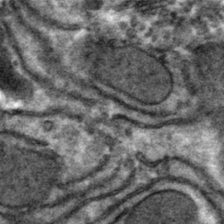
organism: Mouse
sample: Mouse hepatocytes